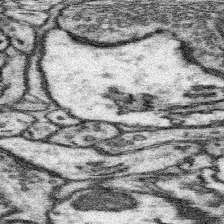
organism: Mouse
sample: Somatosensory cortex neuropil